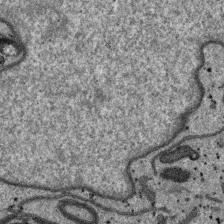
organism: Human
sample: Lung epithelial cells, uninfected (mock) control